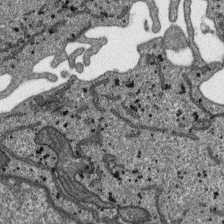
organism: Human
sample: Lung epithelial cells infected with SARS-CoV-2